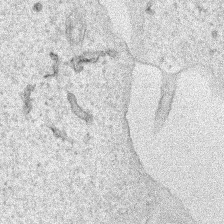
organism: Human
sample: Mitochondria in HCT116 cells